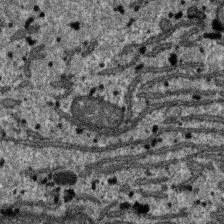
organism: Human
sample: Lung epithelial cells infected with SARS-CoV-2